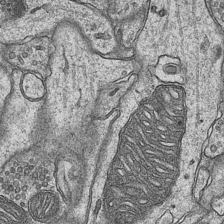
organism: Mouse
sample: CA1 Hippocampus